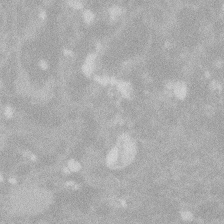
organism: Zebrafish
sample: Macrophage